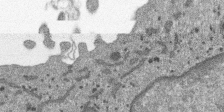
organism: Human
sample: Lung epithelial cells infected with SARS-CoV-2